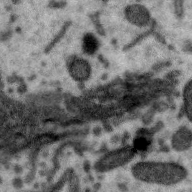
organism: Zebra finch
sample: Brain